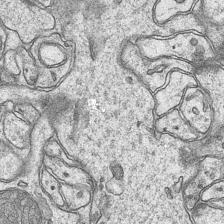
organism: Mouse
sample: CA1 Hippocampus